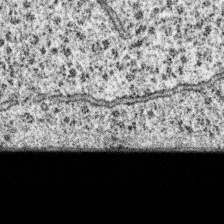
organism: Human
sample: HeLa cells